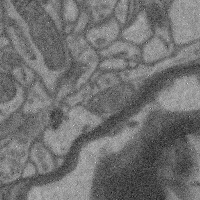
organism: Mouse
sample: Cerebral cortex